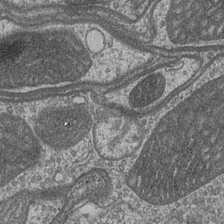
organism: Drosophila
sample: Optic medulla